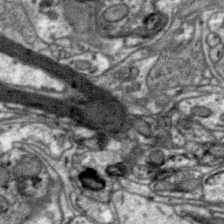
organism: Zebra finch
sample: Brain